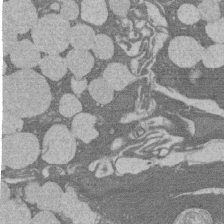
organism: Rat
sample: Salivary granule